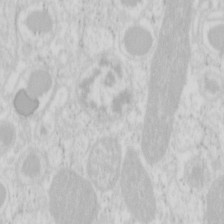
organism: Mouse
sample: Pancreas